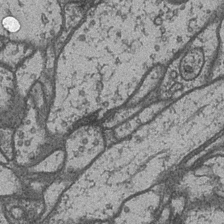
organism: Drosophila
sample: Optic medulla